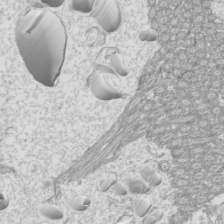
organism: Mouse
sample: Cilia; mouse epididymis